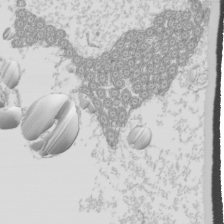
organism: Mouse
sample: Cilia; mouse epididymis